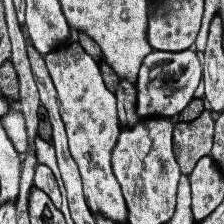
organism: Human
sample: Temporal Lobe